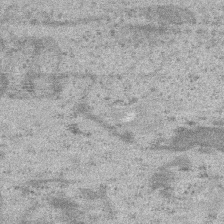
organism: Human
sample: Lung epithelial cells infected with SARS-CoV-2